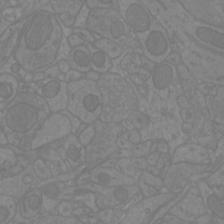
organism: Mouse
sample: Cortical neurons